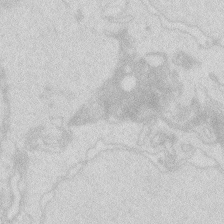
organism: Zebrafish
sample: Macrophage